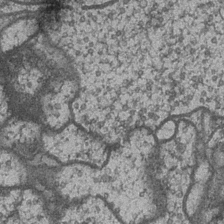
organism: Drosophila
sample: Optic medulla